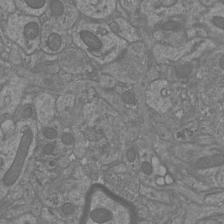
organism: Mouse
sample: Cortical neurons